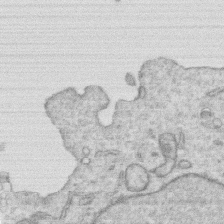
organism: Human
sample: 1205lu cells